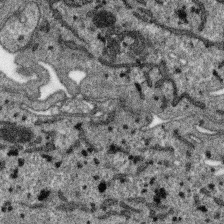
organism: Human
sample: Lung epithelial cells infected with SARS-CoV-2